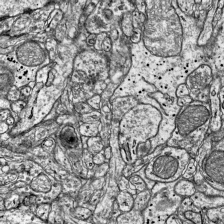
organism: Mouse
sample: Visual Cortex